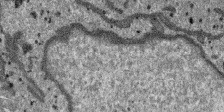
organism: Human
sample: Lung epithelial cells, uninfected (mock) control